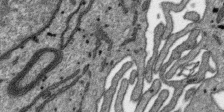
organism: Human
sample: Lung epithelial cells, uninfected (mock) control